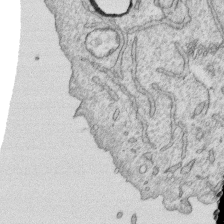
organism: Human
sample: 1205lu cells